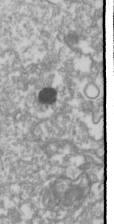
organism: Drosophila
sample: Cell division; meiosis; drosophila spermatocytes